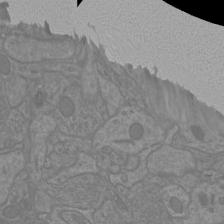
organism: Mouse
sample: Cortical neurons